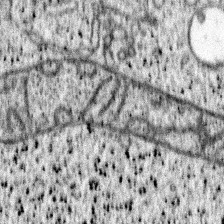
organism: Human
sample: HeLa cells